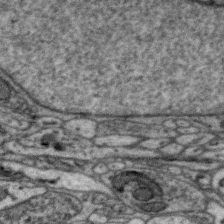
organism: Zebra finch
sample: Brain